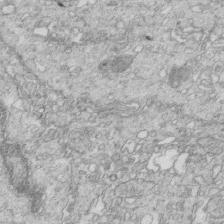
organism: Mouse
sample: Multiciliated cells